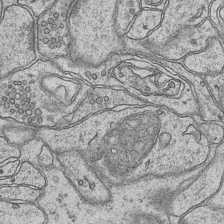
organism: Mouse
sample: CA1 Hippocampus